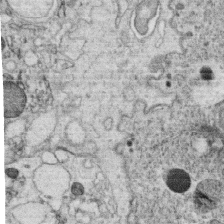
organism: C. elegans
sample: C. elegans oocyte; sperm cells